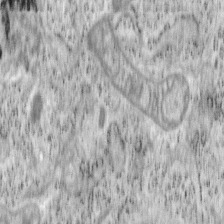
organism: Human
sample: HeLa cells